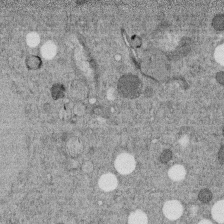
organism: C. elegans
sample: C. elegans embryo early stage